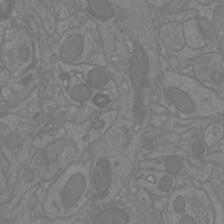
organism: Mouse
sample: Cortical neurons